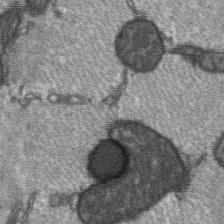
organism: C57BL Mouse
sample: Soleus